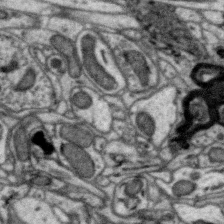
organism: Zebra finch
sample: Brain